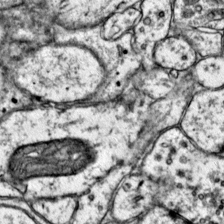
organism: Mouse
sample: Primary visual cortex